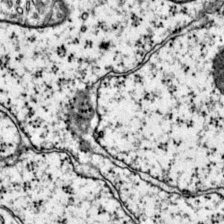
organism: Mouse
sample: Primary visual cortex